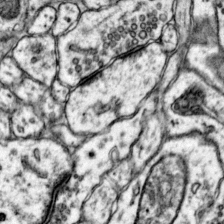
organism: Mouse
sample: Primary visual cortex